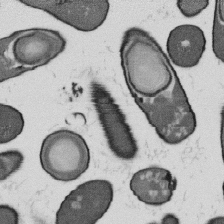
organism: B. subtilis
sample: Bacterial spore